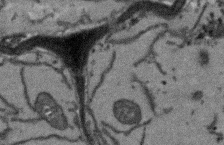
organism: Arabidopsis thaliana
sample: Root tip